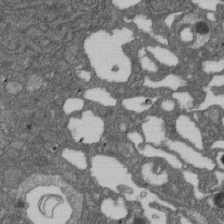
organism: Drosophila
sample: Nephrocyte